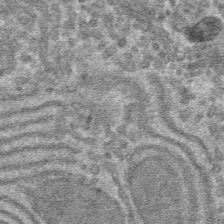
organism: Mouse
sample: Mouse hepatocytes